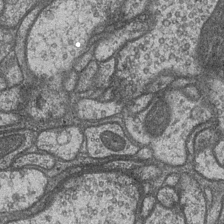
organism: Drosophila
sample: Optic medulla